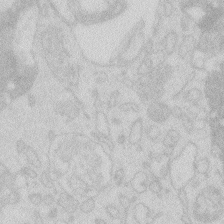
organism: Zebrafish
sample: Macrophage